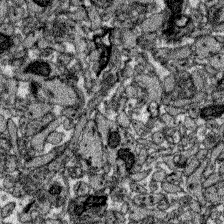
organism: Zebrafish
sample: Larval olfactory bulb